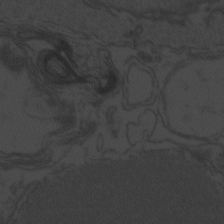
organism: Zebrafish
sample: Macrophage infected with Toxoplasma gondii